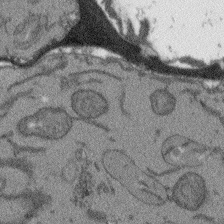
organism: Arabidopsis thaliana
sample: Root tip